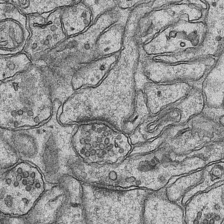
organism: Mouse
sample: CA1 Hippocampus